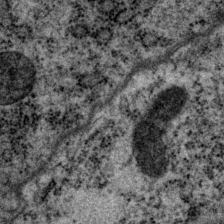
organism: P. pacificus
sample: Pharynx